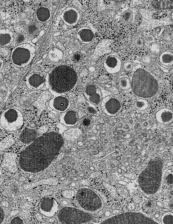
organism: C57BL Mouse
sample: Pancreatic islet